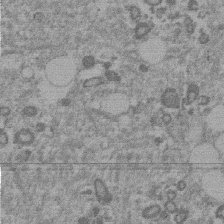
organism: Mouse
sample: Dividing mouse embryo 1 cell stage